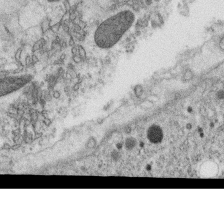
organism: C. elegans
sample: C. elegans oocyte; sperm cells